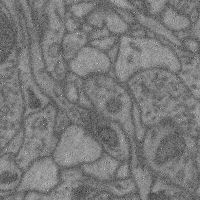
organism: Mouse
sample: Cerebral cortex